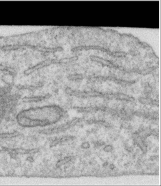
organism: Human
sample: Centriole in RPE cells